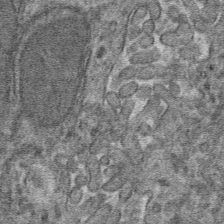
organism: Mouse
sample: Mouse hepatocytes